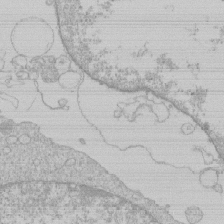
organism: Human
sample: Macrophage cells